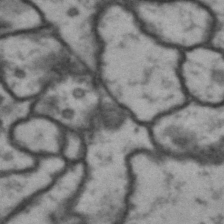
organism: Drosophila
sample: Brain